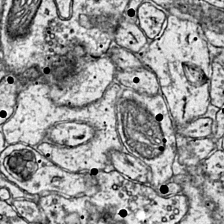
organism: Mouse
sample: Primary visual cortex